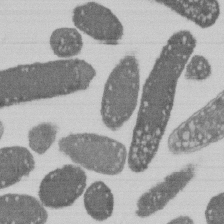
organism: E. coli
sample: Bacterial nucleoid